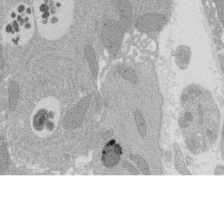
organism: Rat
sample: Salivary granule